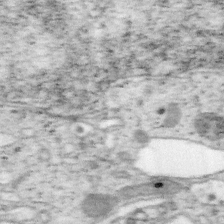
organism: Mouse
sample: OT-I killer T cells with ID8 ovarian cancer cells